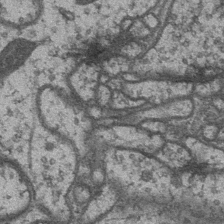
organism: Drosophila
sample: Optic medulla